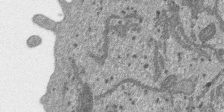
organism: Human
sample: Lung epithelial cells infected with SARS-CoV-2